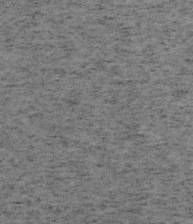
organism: Mouse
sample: OT-I killer T cells with ID8 ovarian cancer cells